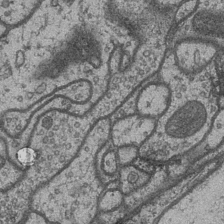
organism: Drosophila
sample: Optic medulla